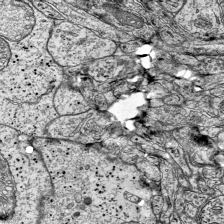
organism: Mouse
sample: Visual Cortex